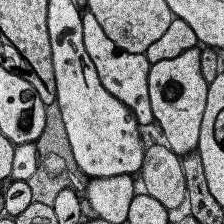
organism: Human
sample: Temporal Lobe